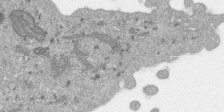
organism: Human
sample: Lung epithelial cells infected with SARS-CoV-2